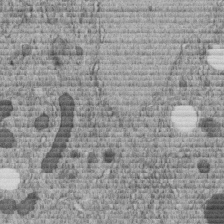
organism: C. elegans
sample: C. elegans embryo early stage